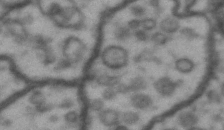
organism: Drosophila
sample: Brain